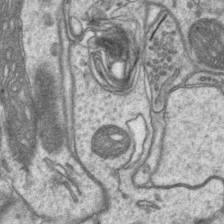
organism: Mouse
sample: CA1 Hippocampus